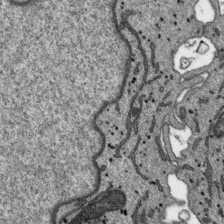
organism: Human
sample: Lung epithelial cells, uninfected (mock) control